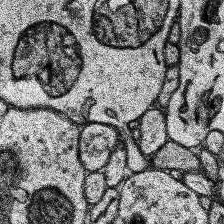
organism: Human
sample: Temporal Lobe